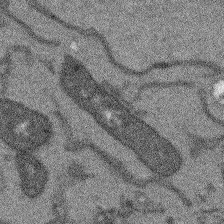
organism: Arabidopsis thaliana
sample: Root tip